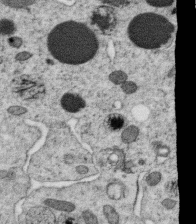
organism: C. elegans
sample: C. elegans oocyte; sperm cells